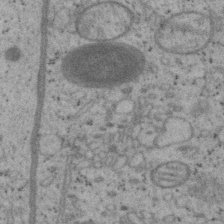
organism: Human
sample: HeLa cells